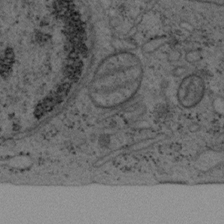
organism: Human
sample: HeLa cells